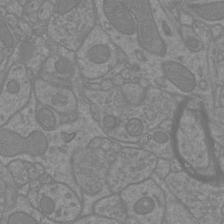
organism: Mouse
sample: Cortical neurons